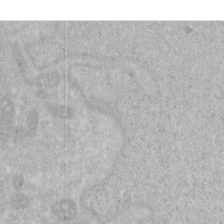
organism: Human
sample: HIV infected U937 cells